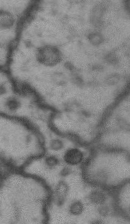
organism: Drosophila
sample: Brain